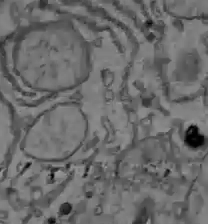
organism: C57BL Mouse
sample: Liver